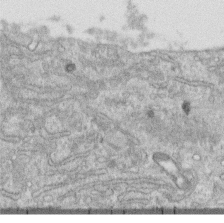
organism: Human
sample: Centriole in RPE cells